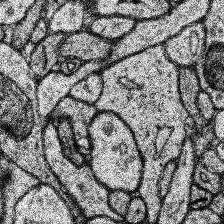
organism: Human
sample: Temporal Lobe